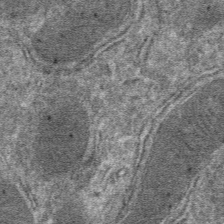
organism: Mouse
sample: Mouse hepatocytes